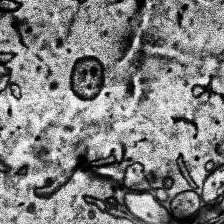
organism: Human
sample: Temporal Lobe